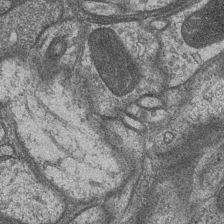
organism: Drosophila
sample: Optic medulla